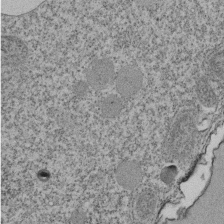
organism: Tetrahymena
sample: Cilia in tetrahymena